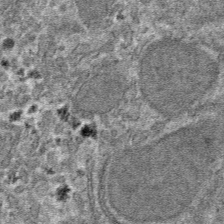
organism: Mouse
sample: Mouse hepatocytes